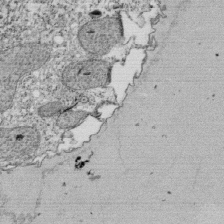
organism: Tetrahymena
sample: Cilia in tetrahymena